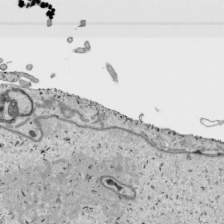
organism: Human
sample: Mitochondria in HCT116 cells